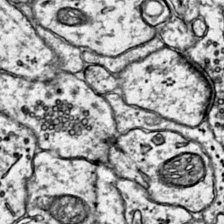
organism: Mouse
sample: Primary visual cortex